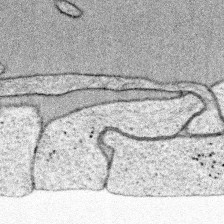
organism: Human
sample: HeLa cells